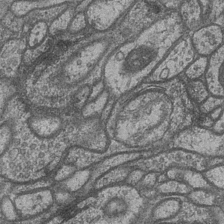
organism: Drosophila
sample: Optic medulla